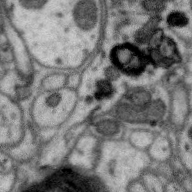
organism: Zebra finch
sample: Brain